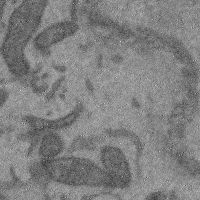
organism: Mouse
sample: Cerebral cortex